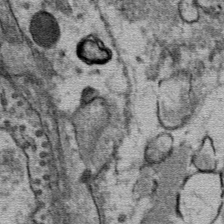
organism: Mouse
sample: Mouse Salivary gland